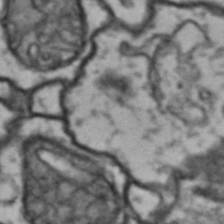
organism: Drosophila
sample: Brain